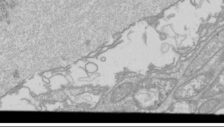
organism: Drosophila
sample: Cell division; meiosis; drosophila spermatocytes